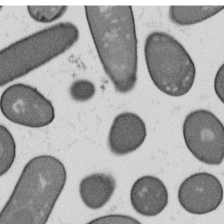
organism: B. subtilis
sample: Bacterial spore